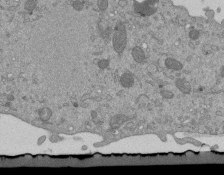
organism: Mouse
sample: ED-1 cell nuclei; centrioles